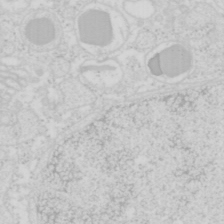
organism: Mouse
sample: Pancreas